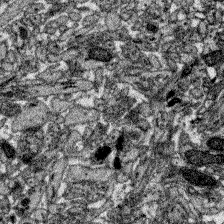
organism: Zebrafish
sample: Larval olfactory bulb